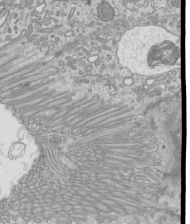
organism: Mouse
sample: Cilia; mouse epididymis